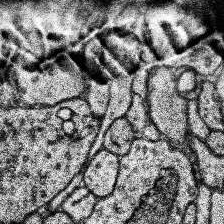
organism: Human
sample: Temporal Lobe